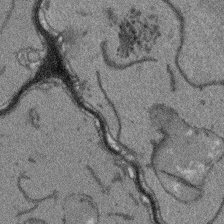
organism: Arabidopsis thaliana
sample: Root tip